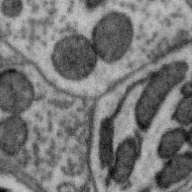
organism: Zebra finch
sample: Brain